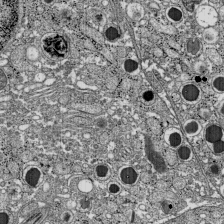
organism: C57BL Mouse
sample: Pancreatic islet